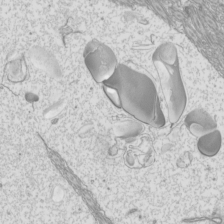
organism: Mouse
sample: Cilia; mouse epididymis